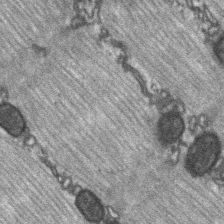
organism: C57BL Mouse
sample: Soleus